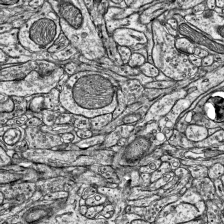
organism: Mouse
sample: Visual Cortex